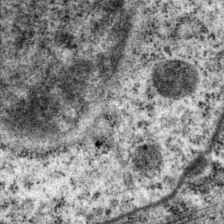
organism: P. pacificus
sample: Pharynx